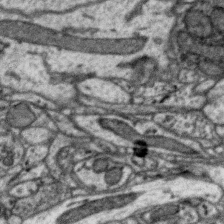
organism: Zebra finch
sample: Brain